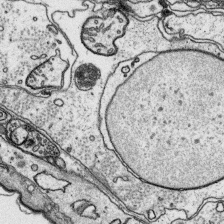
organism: Platynereis dumerilii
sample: Parapodia